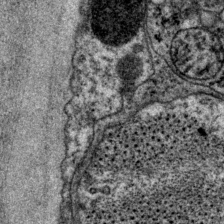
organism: P. pacificus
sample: Pharynx